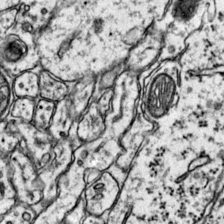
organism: Mouse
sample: Primary visual cortex